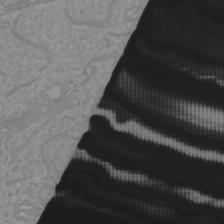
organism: Mouse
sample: Cortical neurons